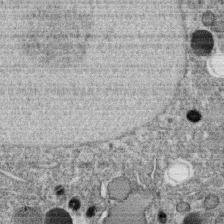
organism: C. elegans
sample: C. elegans oocyte; sperm cells